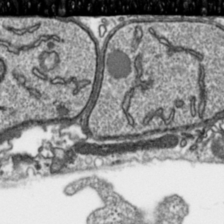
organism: Toxoplasma gondii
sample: Parasites in a vacuole inside a host cell